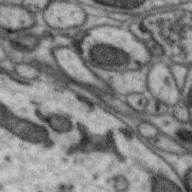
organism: Zebra finch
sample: Brain